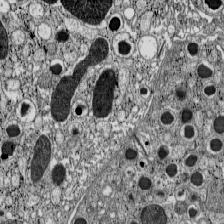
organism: C57BL Mouse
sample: Pancreatic islet